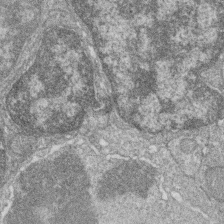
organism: Zebrafish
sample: Cilia; retinal pigment epithelium